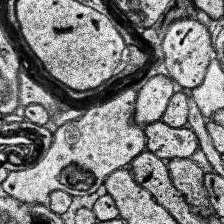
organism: Human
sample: Temporal Lobe